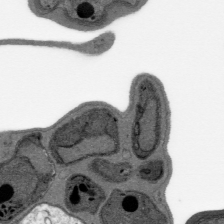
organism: Plasmodium falciparum